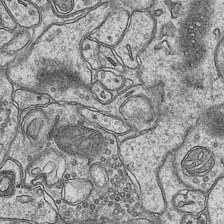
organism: Mouse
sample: CA1 Hippocampus